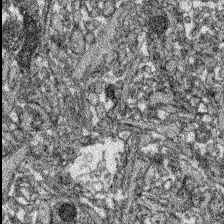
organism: Zebrafish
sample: Larval olfactory bulb